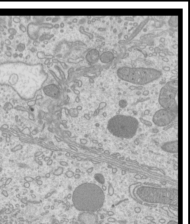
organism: Mouse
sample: Cilia; mouse epididymis